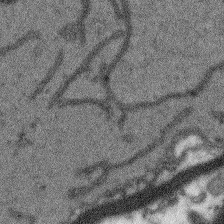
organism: Arabidopsis thaliana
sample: Root tip